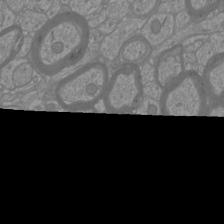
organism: Mouse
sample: Cortical neurons